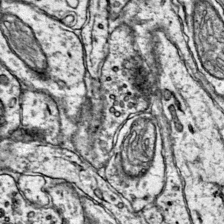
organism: Mouse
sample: Primary visual cortex